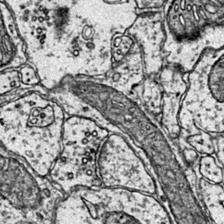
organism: Mouse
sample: Primary visual cortex